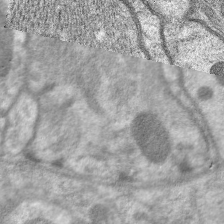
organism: C. elegans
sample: Pharynx